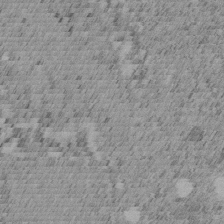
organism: C. elegans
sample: C. elegans embryo early stage